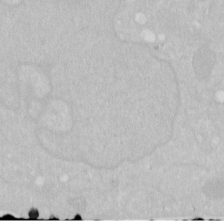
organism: Human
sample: HIV infected U937 cells